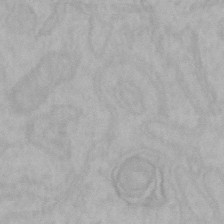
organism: Mouse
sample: Choroid plexus